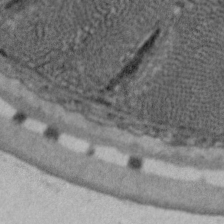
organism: C. elegans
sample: Pharynx